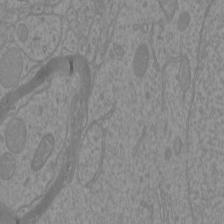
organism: Mouse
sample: Cortical neurons